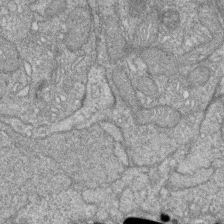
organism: Zebrafish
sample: Cilia; retinal pigment epithelium